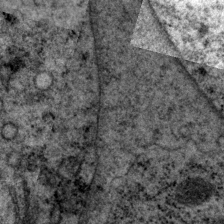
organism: P. pacificus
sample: Pharynx